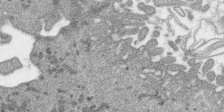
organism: Human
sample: Lung epithelial cells infected with SARS-CoV-2